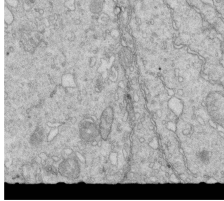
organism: Mouse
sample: Multiciliated cells